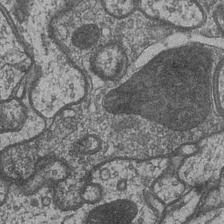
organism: Drosophila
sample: Optic medulla